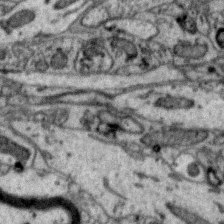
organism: Zebra finch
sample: Brain